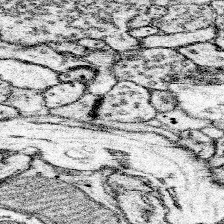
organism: Mouse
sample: Somatosensory cortex neuropil